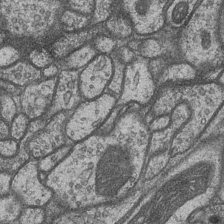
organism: Drosophila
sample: Optic medulla